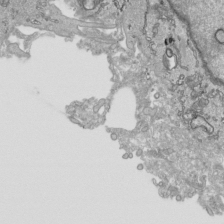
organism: Human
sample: Mitochondria in HCT116 cells